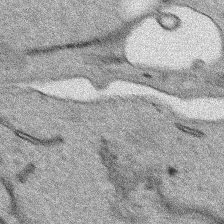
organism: Human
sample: Mitochondria in HCT116 cells